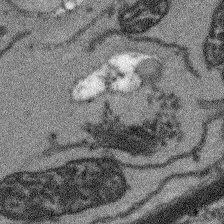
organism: Arabidopsis thaliana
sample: Root tip